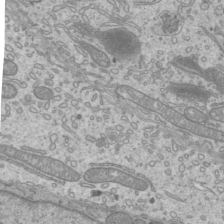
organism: Mouse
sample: Cilia; mouse epididymis